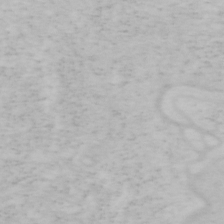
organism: Mouse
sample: OT-I killer T cells with ID8 ovarian cancer cells